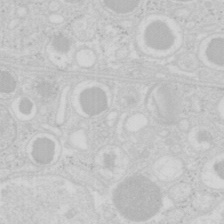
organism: Mouse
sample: Pancreas